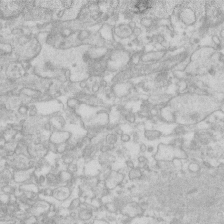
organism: Human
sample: Fibroblast cells